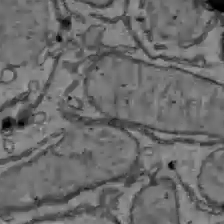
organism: C57BL Mouse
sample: Liver